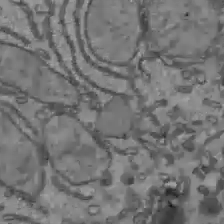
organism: C57BL Mouse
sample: Liver